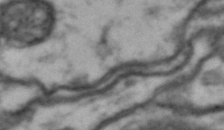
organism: Drosophila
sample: Brain